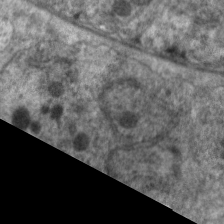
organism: C. elegans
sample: Pharynx